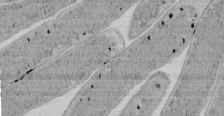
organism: E. coli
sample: Bacterial nucleoid